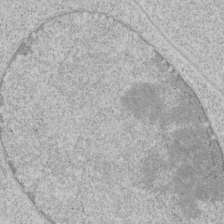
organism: Human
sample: Mitochondria in HCT116 cells